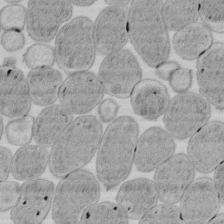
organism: E. coli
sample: Bacterial nucleoid